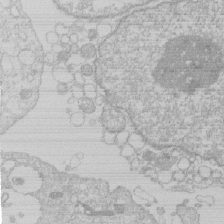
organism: Human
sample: Macrophage cells